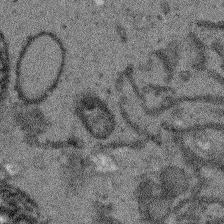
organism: Arabidopsis thaliana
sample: Root tip